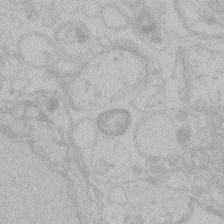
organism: Zebrafish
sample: Macrophage infected with Toxoplasma gondii